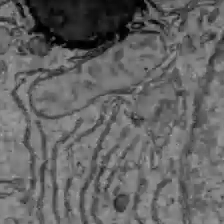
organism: C57BL Mouse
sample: Liver